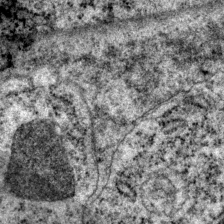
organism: P. pacificus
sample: Pharynx